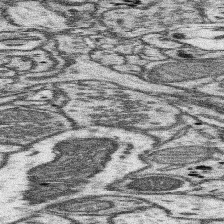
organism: Mouse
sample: Somatosensory cortex neuropil